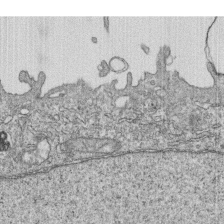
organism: Human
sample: HeLa cell HIV synapse